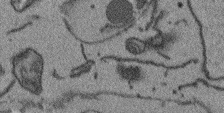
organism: Arabidopsis thaliana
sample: Root tip